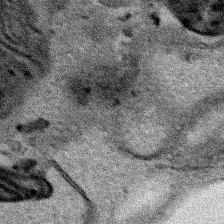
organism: Human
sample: Mitochondria in HCT116 cells